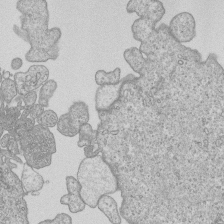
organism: Human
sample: MDA-MB-231 cells